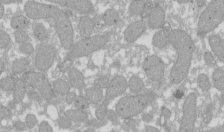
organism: Xenopus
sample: Cilia; centrioles in frog embryo cells